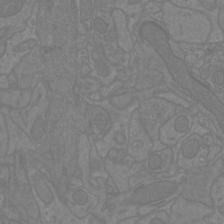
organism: Mouse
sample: Cortical neurons